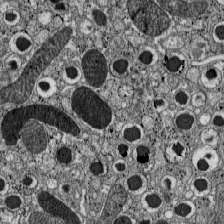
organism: C57BL Mouse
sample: Pancreatic islet